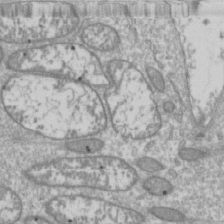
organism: Drosophila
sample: Cell division; meiosis; drosophila spermatocytes